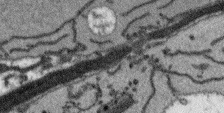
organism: Arabidopsis thaliana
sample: Root tip